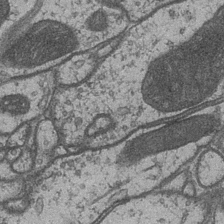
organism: Drosophila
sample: Optic medulla